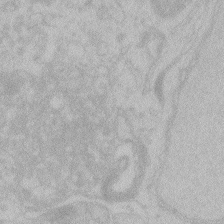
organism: Zebrafish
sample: Macrophage infected with Toxoplasma gondii